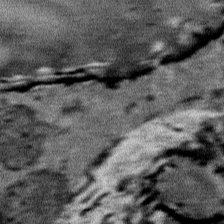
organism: Mouse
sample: Mouse Salivary gland